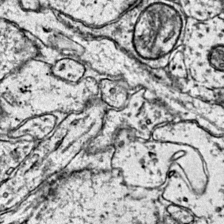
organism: Mouse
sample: Primary visual cortex